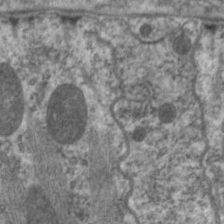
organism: C. elegans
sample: Pharynx